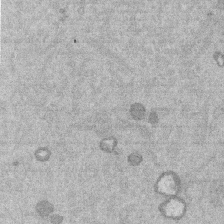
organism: Mouse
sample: Dividing mouse embryo 1 cell stage